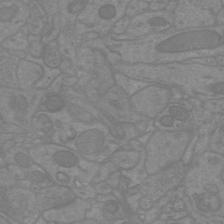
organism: Mouse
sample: Cortical neurons